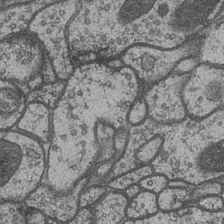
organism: Drosophila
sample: Optic medulla